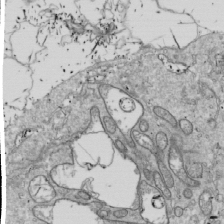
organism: Drosophila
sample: Cell division; meiosis; drosophila spermatocytes